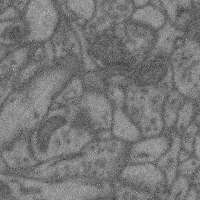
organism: Mouse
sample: Cerebral cortex